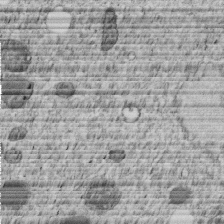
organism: C. elegans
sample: C. elegans embryo early stage